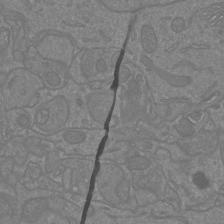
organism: Mouse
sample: Cortical neurons